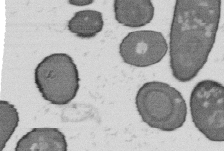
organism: B. subtilis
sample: Bacterial spore